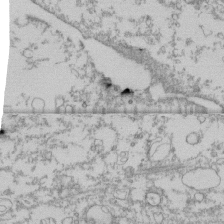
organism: Human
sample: Fibroblast cells